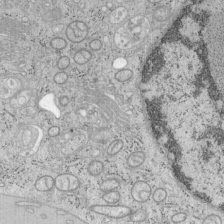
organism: Mouse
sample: OT-I killer T cells with ID8 ovarian cancer cells